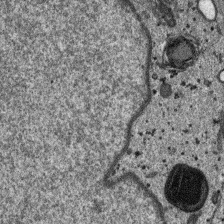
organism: Human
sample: Lung epithelial cells infected with SARS-CoV-2